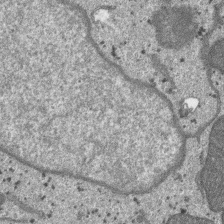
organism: Human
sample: Lung epithelial cells infected with SARS-CoV-2